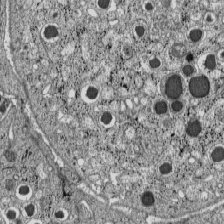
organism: C57BL Mouse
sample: Pancreatic islet